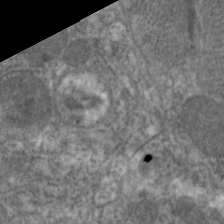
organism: C. elegans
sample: Pharynx